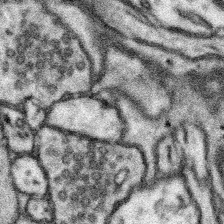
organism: Mouse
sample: Somatosensory cortex neuropil